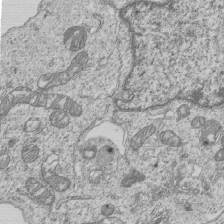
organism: Human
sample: MDA-MB-231 cells